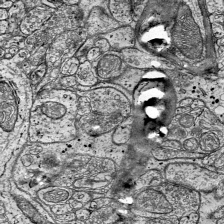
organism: Mouse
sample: Visual Cortex